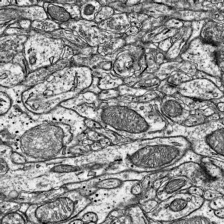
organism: Mouse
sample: Visual Cortex